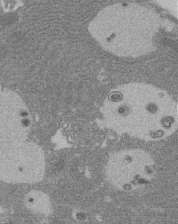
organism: Rat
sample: Salivary granule